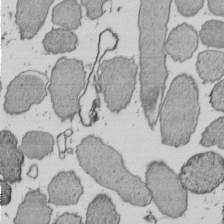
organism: E. coli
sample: Bacterial nucleoid